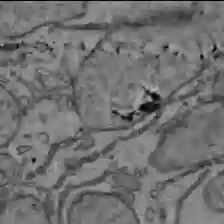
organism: C57BL Mouse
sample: Liver